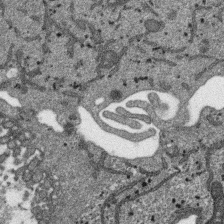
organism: Human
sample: Lung epithelial cells infected with SARS-CoV-2